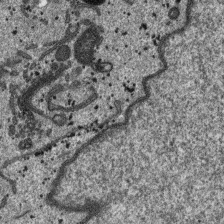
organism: Human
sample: Lung epithelial cells infected with SARS-CoV-2